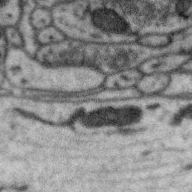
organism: Zebra finch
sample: Brain